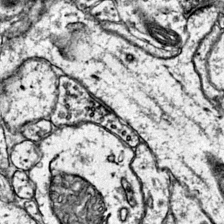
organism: Mouse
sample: Primary visual cortex